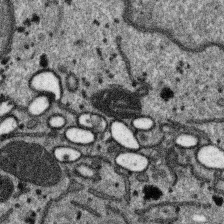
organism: Human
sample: Lung epithelial cells infected with SARS-CoV-2